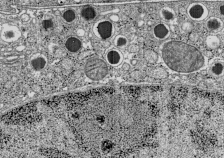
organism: C57BL Mouse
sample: Pancreatic islet